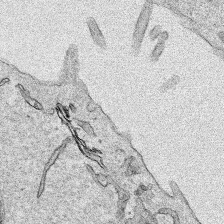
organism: Human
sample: Mitochondria in HCT116 cells